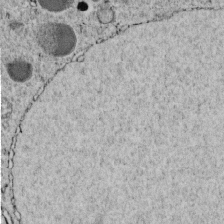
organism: C. elegans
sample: C. elegans embryo early stage